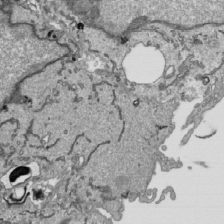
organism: Human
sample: Mitochondria in HCT116 cells